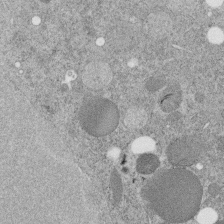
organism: C. elegans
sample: C. elegans embryo early stage